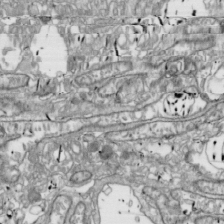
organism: Drosophila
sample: Cell division; meiosis; drosophila spermatocytes